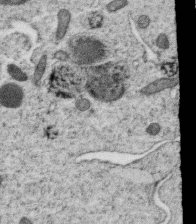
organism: C. elegans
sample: C. elegans oocyte; sperm cells